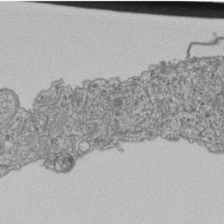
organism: Human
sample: Retinal organoid Rod and Cone cells